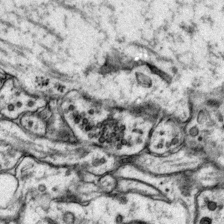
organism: Mouse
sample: Primary visual cortex